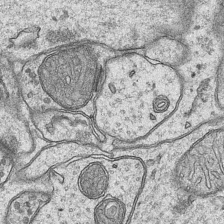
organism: Mouse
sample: CA1 Hippocampus